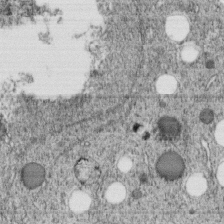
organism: C. elegans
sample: C. elegans embryo early stage